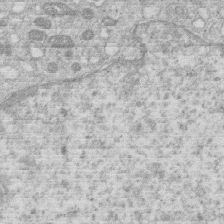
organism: Human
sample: Macrophage cells